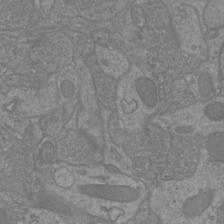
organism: Mouse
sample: Cortical neurons